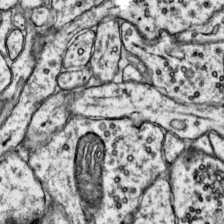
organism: Mouse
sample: Primary visual cortex